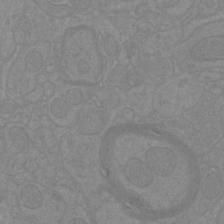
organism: Mouse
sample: Cortical neurons